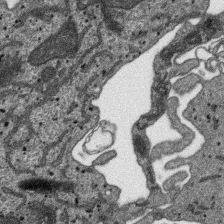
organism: Human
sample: Lung epithelial cells infected with SARS-CoV-2